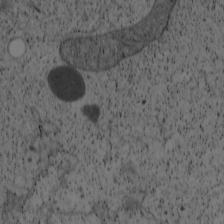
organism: African green monkey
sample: COS-7 cells